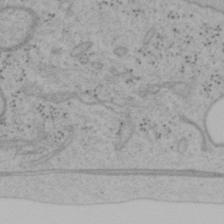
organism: Human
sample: HeLa cells